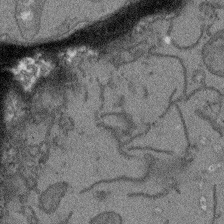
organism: Arabidopsis thaliana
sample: Root tip